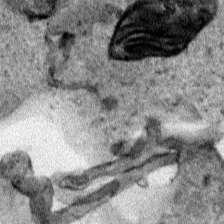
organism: Human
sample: Mitochondria in HCT116 cells